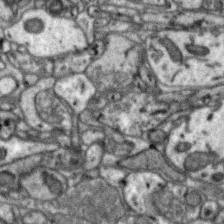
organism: Zebra finch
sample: Brain